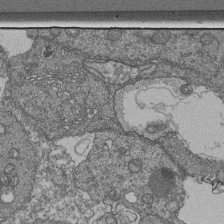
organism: Human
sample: Retinal organoid Rod and Cone cells